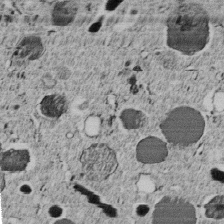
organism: C. elegans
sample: C. elegans embryo early stage